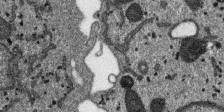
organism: Human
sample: Lung epithelial cells infected with SARS-CoV-2